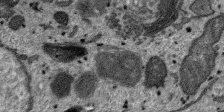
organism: Human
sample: Lung epithelial cells, uninfected (mock) control